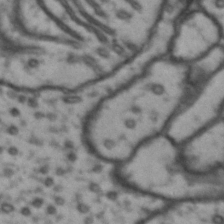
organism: Drosophila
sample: Brain